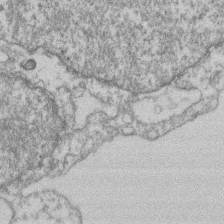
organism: Mouse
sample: T cell stromal cell synapse